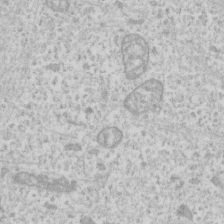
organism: Human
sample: Fibroblast cells